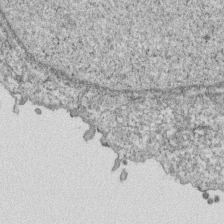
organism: Human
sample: HeLa cell HIV synapse